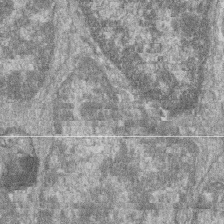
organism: Zebrafish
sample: Cilia; retinal pigment epithelium